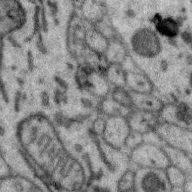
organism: Zebra finch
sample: Brain